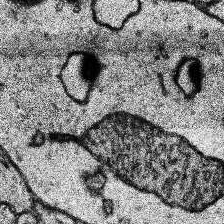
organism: Human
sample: Temporal Lobe